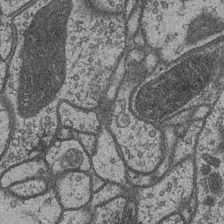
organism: Drosophila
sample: Optic medulla